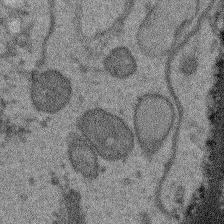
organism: Arabidopsis thaliana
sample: Root tip